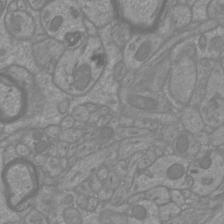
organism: Mouse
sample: Cortical neurons